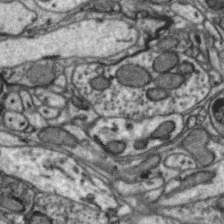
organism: Zebra finch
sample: Brain